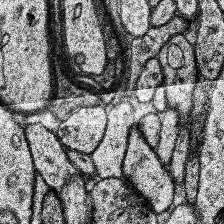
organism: Human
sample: Temporal Lobe